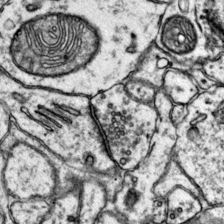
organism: Mouse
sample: Primary visual cortex